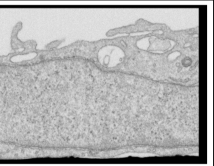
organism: Human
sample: Centriole in RPE cells